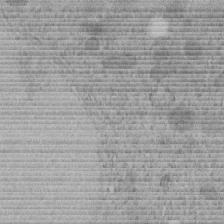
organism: C. elegans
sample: C. elegans embryo early stage